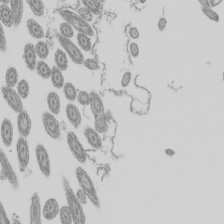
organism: Mouse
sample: Cilia; mouse epididymis